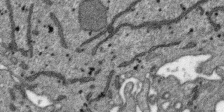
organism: Human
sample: Lung epithelial cells, uninfected (mock) control